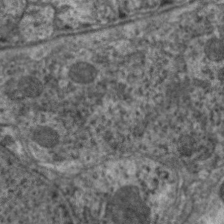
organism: C. elegans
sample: Pharynx